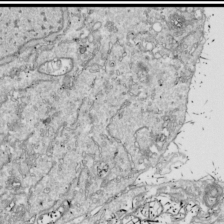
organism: Drosophila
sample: Cell division; meiosis; drosophila spermatocytes